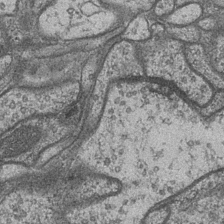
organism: Drosophila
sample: Optic medulla